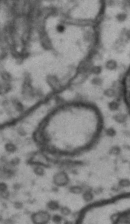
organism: Drosophila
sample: Brain